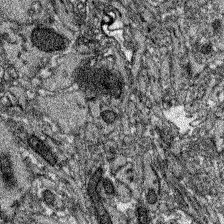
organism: Zebrafish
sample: Larval olfactory bulb